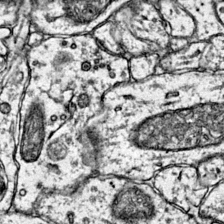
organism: Mouse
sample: Primary visual cortex